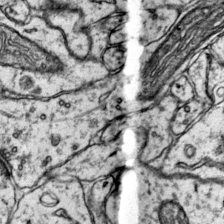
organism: Mouse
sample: Primary visual cortex